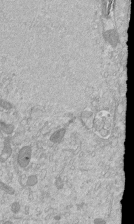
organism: Mouse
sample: ED-1 cell nuclei; centrioles